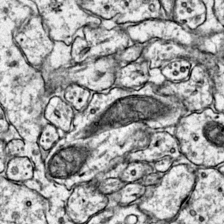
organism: Mouse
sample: Primary visual cortex